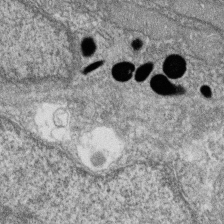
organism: Zebrafish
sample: Cilia; retinal pigment epithelium